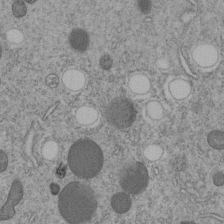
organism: C. elegans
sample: C. elegans embryo early stage